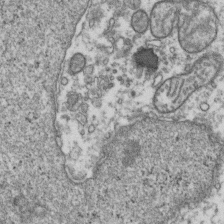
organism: Human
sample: Activated Jurkat CD4+ T cells